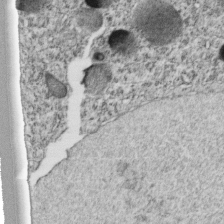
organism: C. elegans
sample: C. elegans embryo early stage